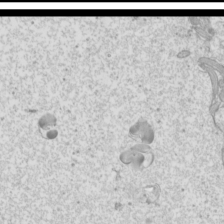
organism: Mouse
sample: Cilia; mouse epididymis